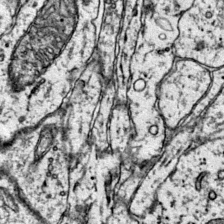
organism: Mouse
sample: Primary visual cortex